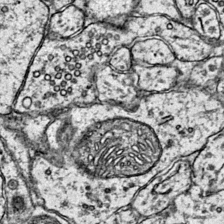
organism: Mouse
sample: Primary visual cortex